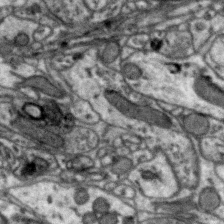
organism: Zebra finch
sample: Brain